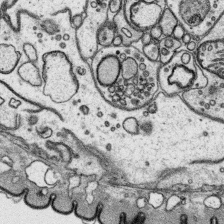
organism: Platynereis dumerilii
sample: Parapodia